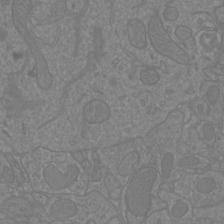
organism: Mouse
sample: Cortical neurons